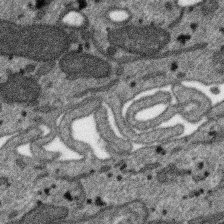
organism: Human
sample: Lung epithelial cells infected with SARS-CoV-2